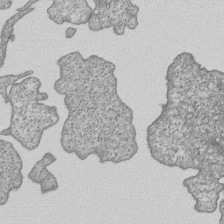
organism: Human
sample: MDA-MB-231 cells